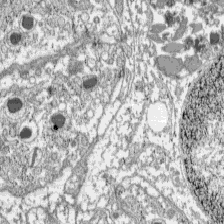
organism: C57BL Mouse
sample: Pancreatic islet